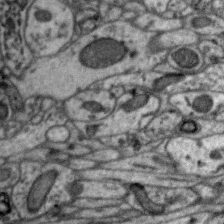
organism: Zebra finch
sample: Brain